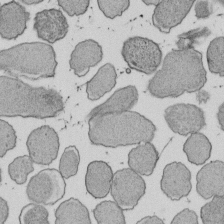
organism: E. coli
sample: Bacterial nucleoid